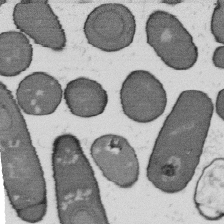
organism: B. subtilis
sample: Bacterial spore